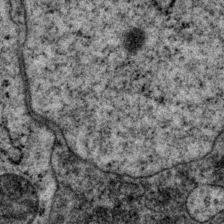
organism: P. pacificus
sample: Pharynx